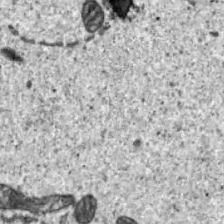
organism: Human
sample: HeLa cells